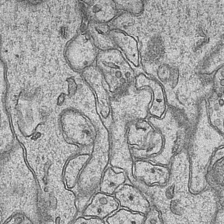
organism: Mouse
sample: CA1 Hippocampus